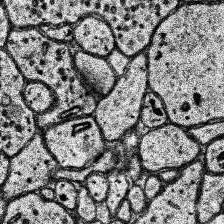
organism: Human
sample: Temporal Lobe